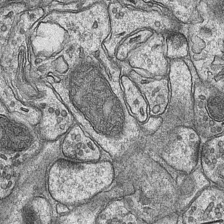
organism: Mouse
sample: CA1 Hippocampus